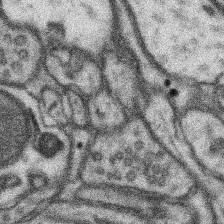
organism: Mouse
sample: Somatosensory cortex neuropil